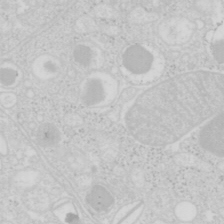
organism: Mouse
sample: Pancreas